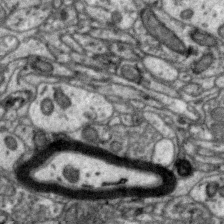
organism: Zebra finch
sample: Brain